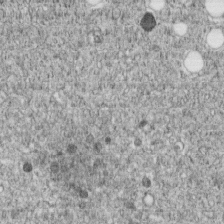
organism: C. elegans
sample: C. elegans embryo early stage